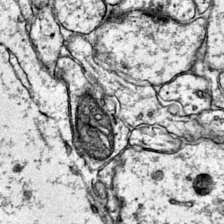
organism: Mouse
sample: Primary visual cortex